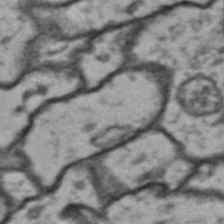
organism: Drosophila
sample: Brain